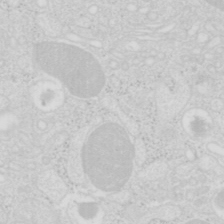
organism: Mouse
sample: Pancreas